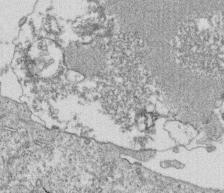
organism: Human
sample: HeLa cell HIV synapse